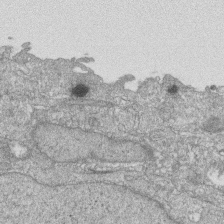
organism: Human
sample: HeLa cell HIV synapse